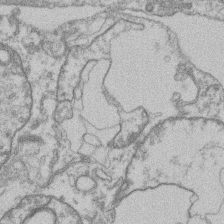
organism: Mouse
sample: T cell stromal cell synapse